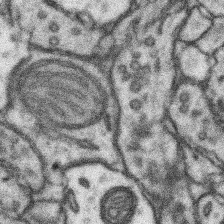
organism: Mouse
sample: Somatosensory cortex neuropil